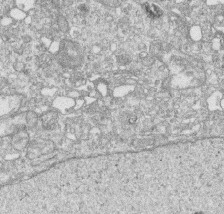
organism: Human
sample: HeLa cell HIV synapse